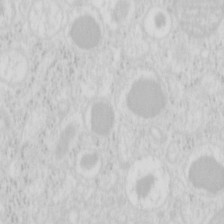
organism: Mouse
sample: Pancreas